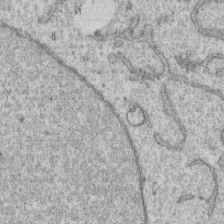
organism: Human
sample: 1205lu cells